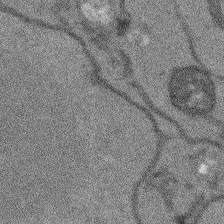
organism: Arabidopsis thaliana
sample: Root tip